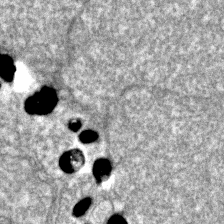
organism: Zebrafish